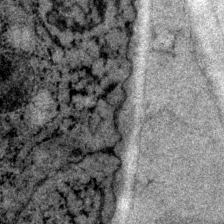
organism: P. pacificus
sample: Pharynx